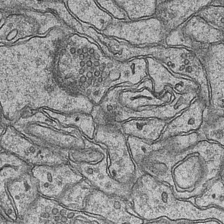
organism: Mouse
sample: CA1 Hippocampus